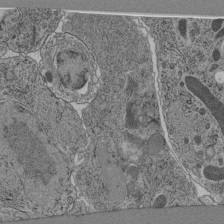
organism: C. elegans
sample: C. elegans pharynx